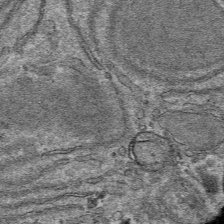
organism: Mouse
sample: Mouse hepatocytes